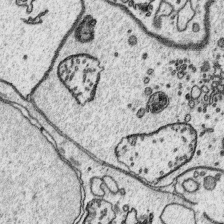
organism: Platynereis dumerilii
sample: Parapodia